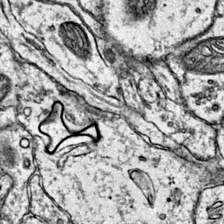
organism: Mouse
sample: Primary visual cortex